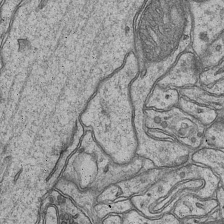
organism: Mouse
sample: CA1 Hippocampus